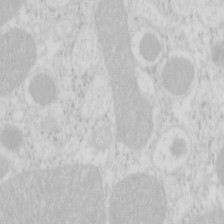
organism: Mouse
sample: Pancreas